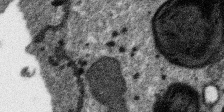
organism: Human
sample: Lung epithelial cells infected with SARS-CoV-2